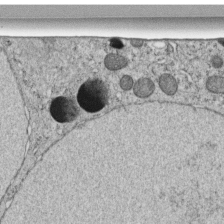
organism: C. elegans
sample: C. elegans embryo early stage